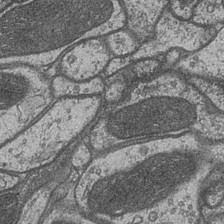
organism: Drosophila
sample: Optic medulla